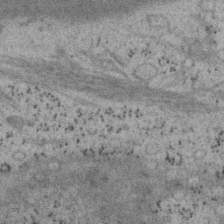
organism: Human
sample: HeLa cells